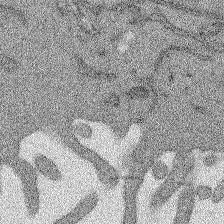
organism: Human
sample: HeLa cells